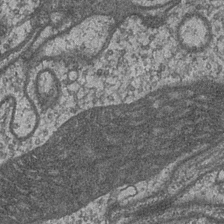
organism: Drosophila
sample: Optic medulla